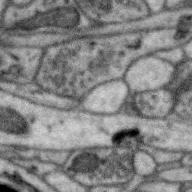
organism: Zebra finch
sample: Brain